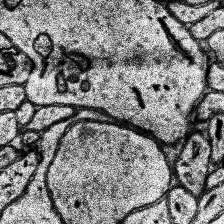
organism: Human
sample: Temporal Lobe